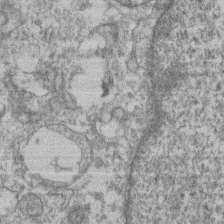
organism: Mouse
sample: T cell stromal cell synapse